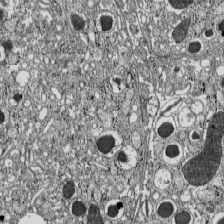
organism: C57BL Mouse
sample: Pancreatic islet